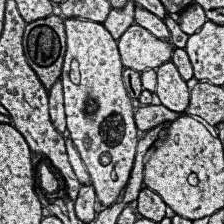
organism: Human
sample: Temporal Lobe